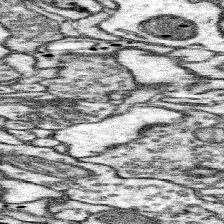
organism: Mouse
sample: Somatosensory cortex neuropil